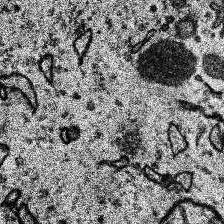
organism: Human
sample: Temporal Lobe